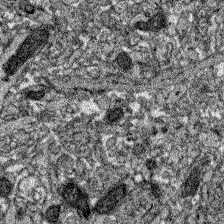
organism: Zebrafish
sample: Larval olfactory bulb